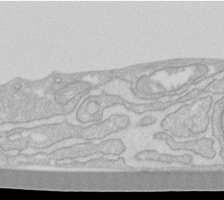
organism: Human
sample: Fibroblast cells